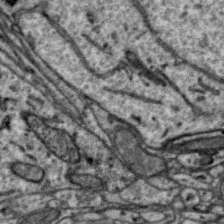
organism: Zebra finch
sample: Brain